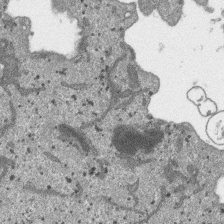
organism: Human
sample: Lung epithelial cells infected with SARS-CoV-2